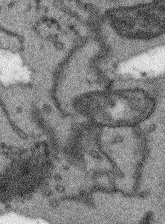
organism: Arabidopsis thaliana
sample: Root tip